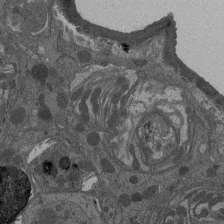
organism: Drosophila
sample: Antenna